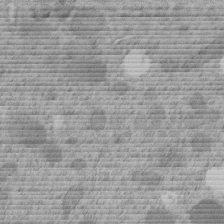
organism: C. elegans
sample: C. elegans embryo early stage